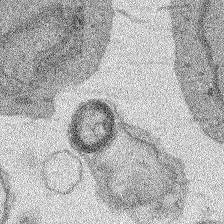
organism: Human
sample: HeLa cells